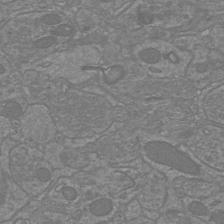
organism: Mouse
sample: Cortical neurons